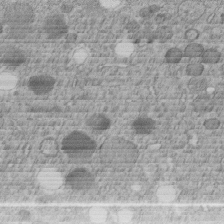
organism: C. elegans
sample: C. elegans embryo early stage